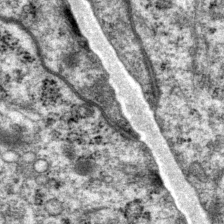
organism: P. pacificus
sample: Pharynx